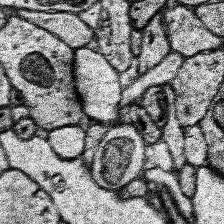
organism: Human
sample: Temporal Lobe